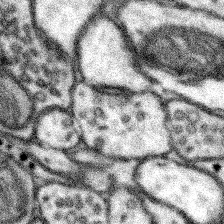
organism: Mouse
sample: Somatosensory cortex neuropil